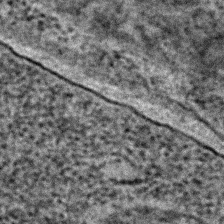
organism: C. elegans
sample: C. elegans embryo